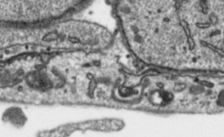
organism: Toxoplasma gondii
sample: Parasites in a vacuole inside a host cell